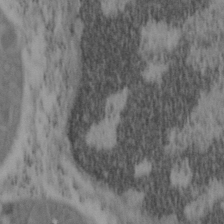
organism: Mouse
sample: OT-I killer T cells with ID8 ovarian cancer cells